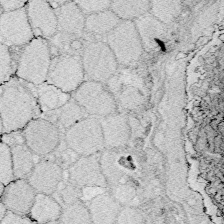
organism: Zebrafish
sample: Whole-Brain